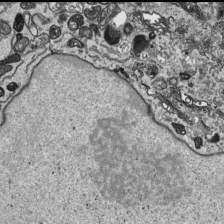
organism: Human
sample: Mitochondria in HCT116 cells